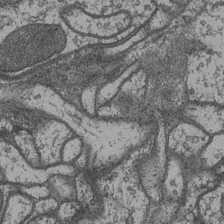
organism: Drosophila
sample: Optic medulla